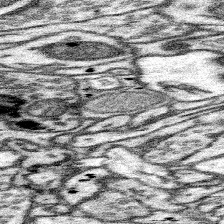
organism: Mouse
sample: Somatosensory cortex neuropil